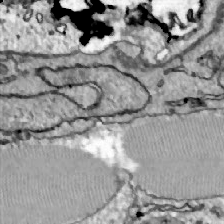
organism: Zebrafish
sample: Actinotrichia fibers